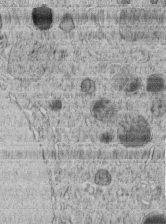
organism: C. elegans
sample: C. elegans embryo early stage